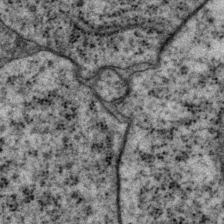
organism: P. pacificus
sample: Pharynx